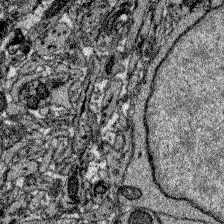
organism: Zebrafish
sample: Larval olfactory bulb